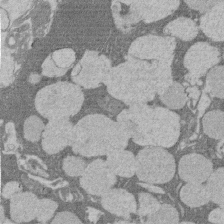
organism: Rat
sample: Salivary granule